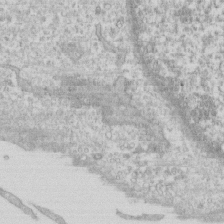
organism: Human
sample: CRL-1474